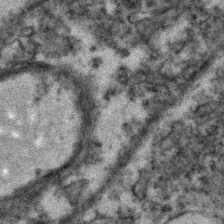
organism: Zebrafish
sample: Zebrafish embryo